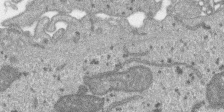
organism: Human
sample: Lung epithelial cells infected with SARS-CoV-2